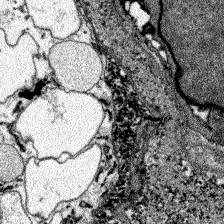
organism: Zebrafish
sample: Larval olfactory bulb